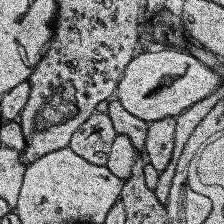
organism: Human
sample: Temporal Lobe